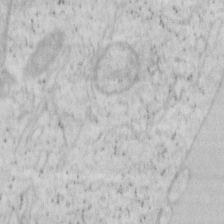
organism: Human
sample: HeLa cells